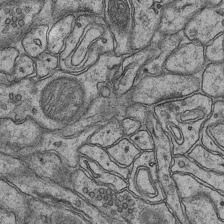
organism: Mouse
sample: CA1 Hippocampus